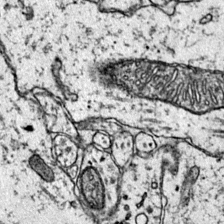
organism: Mouse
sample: Primary visual cortex